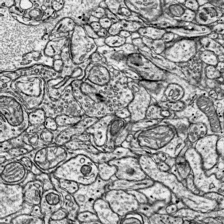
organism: Mouse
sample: Visual Cortex